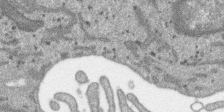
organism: Human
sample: Lung epithelial cells infected with SARS-CoV-2